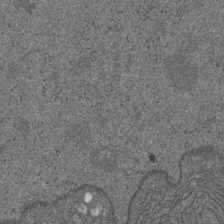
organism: Drosophila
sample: Nephrocyte